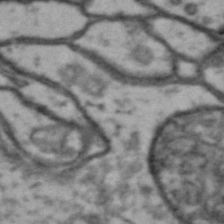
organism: Drosophila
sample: Brain